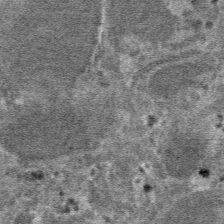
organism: Mouse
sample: Mouse hepatocytes